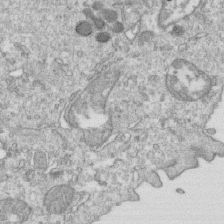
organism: Mouse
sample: Activated OT-1 CD8+ T cells